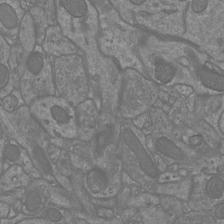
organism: Mouse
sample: Cortical neurons